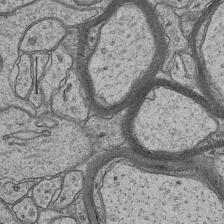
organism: Mouse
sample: CA1 Hippocampus